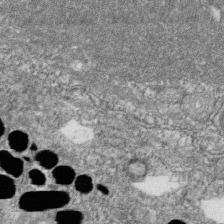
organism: Zebrafish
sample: Cilia; retinal pigment epithelium